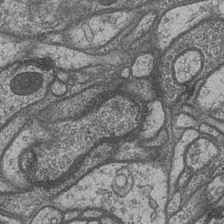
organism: Drosophila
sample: Optic medulla